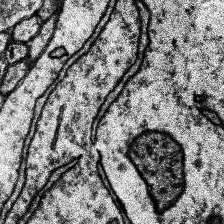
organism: Human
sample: Temporal Lobe